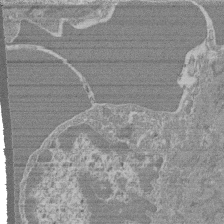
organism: Mouse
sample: Glomerulus